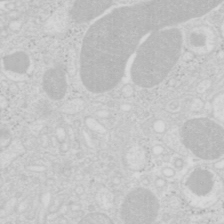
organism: Mouse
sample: Pancreas